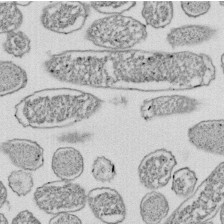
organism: E. coli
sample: Bacterial nucleoid